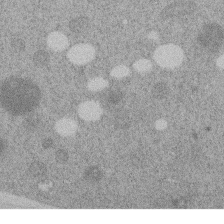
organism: C. elegans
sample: C. elegans embryo early stage